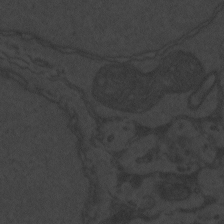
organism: Zebrafish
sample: Macrophage infected with Toxoplasma gondii